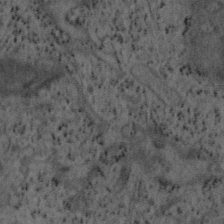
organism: Human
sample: HeLa cells